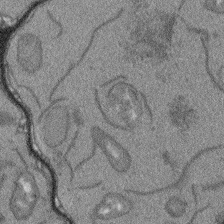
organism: Arabidopsis thaliana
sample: Root tip